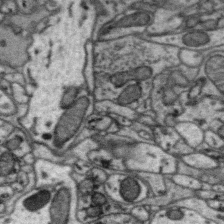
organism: Zebra finch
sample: Brain